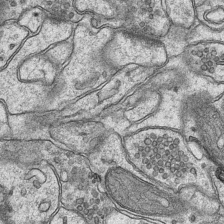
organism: Mouse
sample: CA1 Hippocampus